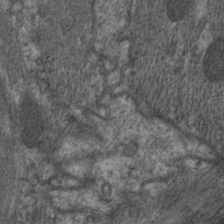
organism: C. elegans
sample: Pharynx